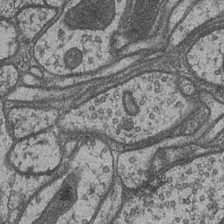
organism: Drosophila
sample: Optic medulla